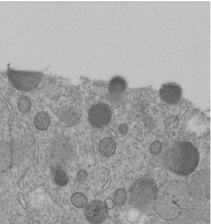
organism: C. elegans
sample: C. elegans embryo early stage